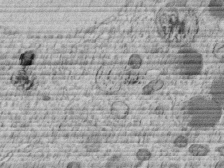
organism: C. elegans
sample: C. elegans embryo early stage